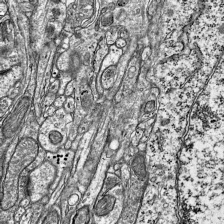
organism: Mouse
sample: Visual Cortex